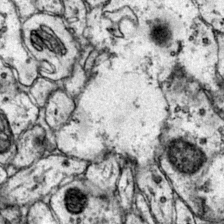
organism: Mouse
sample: Primary visual cortex